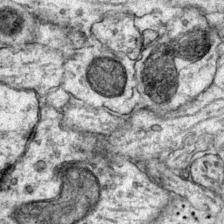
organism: Mouse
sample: Primary visual cortex